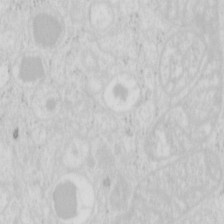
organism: Mouse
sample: Pancreas